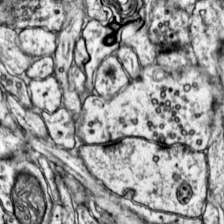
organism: Mouse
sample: Primary visual cortex